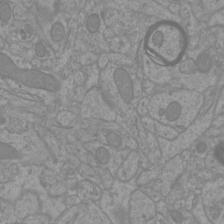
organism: Mouse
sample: Cortical neurons